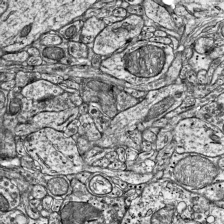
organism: Mouse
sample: Visual Cortex